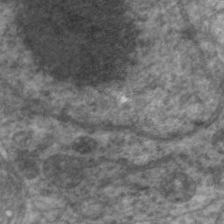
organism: C. elegans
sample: Pharynx